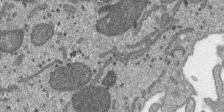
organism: Human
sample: Lung epithelial cells infected with SARS-CoV-2